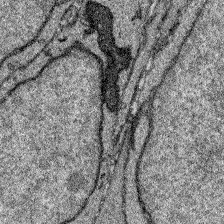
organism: Zebrafish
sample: Larval olfactory bulb